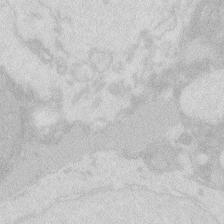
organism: Zebrafish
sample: Macrophage